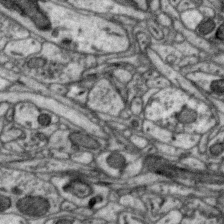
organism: Zebra finch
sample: Brain